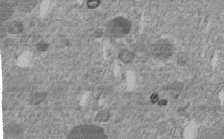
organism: C. elegans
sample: C. elegans embryo early stage